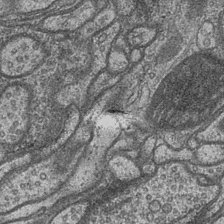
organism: Drosophila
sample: Optic medulla